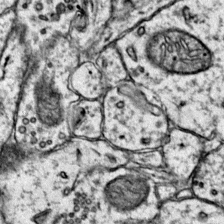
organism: Mouse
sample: Primary visual cortex